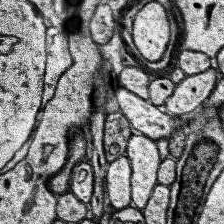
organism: Human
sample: Temporal Lobe